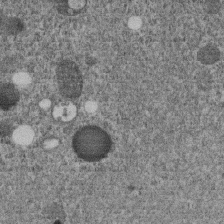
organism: C. elegans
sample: C. elegans embryo early stage